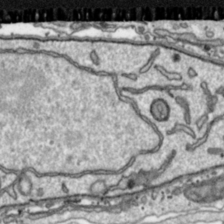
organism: Toxoplasma gondii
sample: Parasites in a vacuole inside a host cell